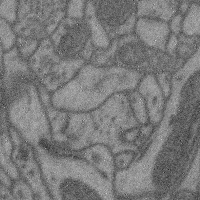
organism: Mouse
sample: Cerebral cortex